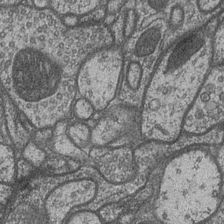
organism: Drosophila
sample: Optic medulla